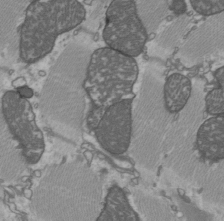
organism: C57BL Mouse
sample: Heart